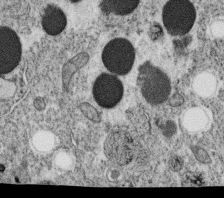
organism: C. elegans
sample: C. elegans oocyte; sperm cells